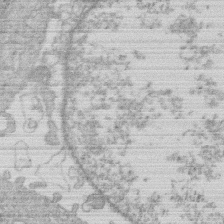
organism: Human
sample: Macrophage cells